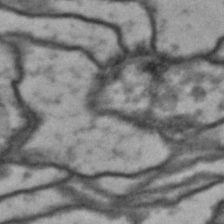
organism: Drosophila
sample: Brain